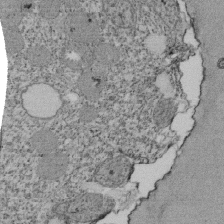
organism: Tetrahymena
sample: Cilia in tetrahymena